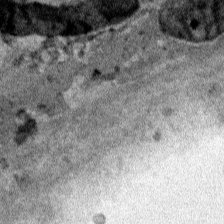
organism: Human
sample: Mitochondria in HCT116 cells